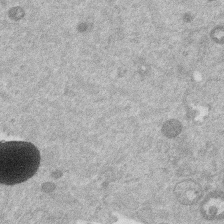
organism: Mouse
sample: Dividing mouse embryo 1 cell stage